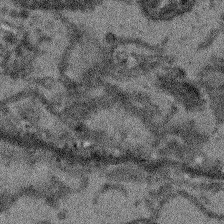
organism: Arabidopsis thaliana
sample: Root tip